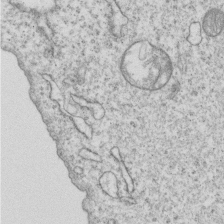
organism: Human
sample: MDA-MB-231 cells